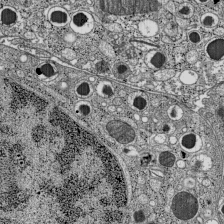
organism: C57BL Mouse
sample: Pancreatic islet